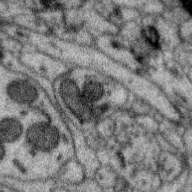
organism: Zebra finch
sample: Brain